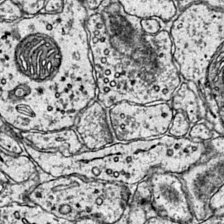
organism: Mouse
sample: Primary visual cortex